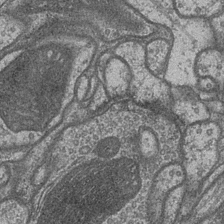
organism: Drosophila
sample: Optic medulla